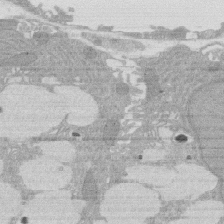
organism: Rat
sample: Salivary granule